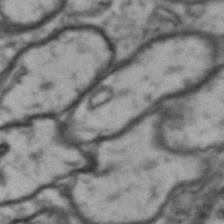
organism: Drosophila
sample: Brain